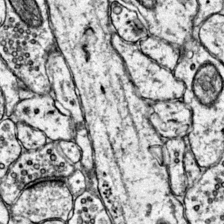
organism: Mouse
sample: Primary visual cortex